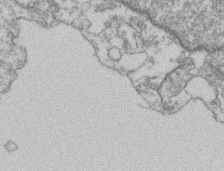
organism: Mouse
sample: T cell stromal cell synapse